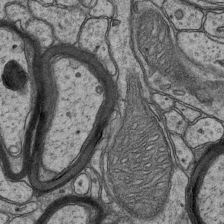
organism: Mouse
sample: CA1 Hippocampus